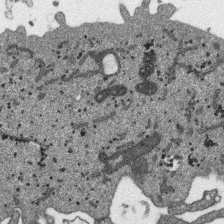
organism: Human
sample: Lung epithelial cells infected with SARS-CoV-2